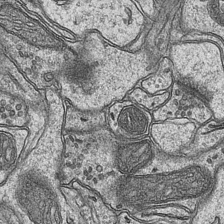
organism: Mouse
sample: CA1 Hippocampus